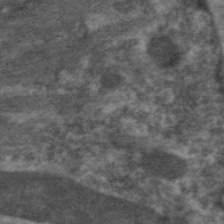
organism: C. elegans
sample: Pharynx